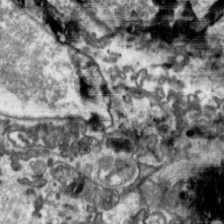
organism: Toxoplasma gondii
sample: Parasites in a vacuole inside a host cell